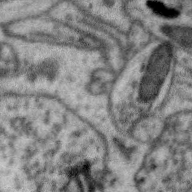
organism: Zebra finch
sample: Brain